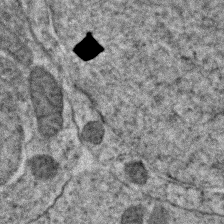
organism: Zebrafish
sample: Zebrafish embryo